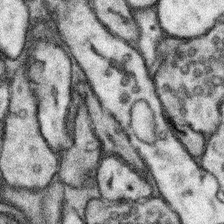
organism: Mouse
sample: Somatosensory cortex neuropil